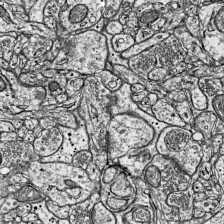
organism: Mouse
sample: Visual Cortex